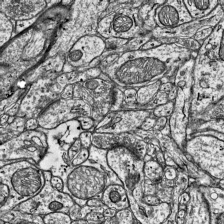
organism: Mouse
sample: Visual Cortex